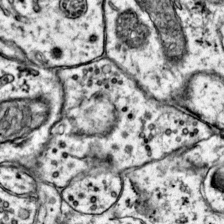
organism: Mouse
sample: Primary visual cortex